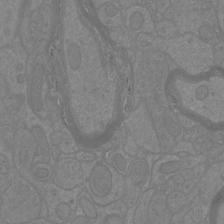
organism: Mouse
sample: Cortical neurons